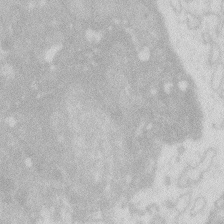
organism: Zebrafish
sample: Macrophage